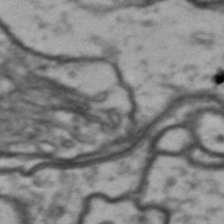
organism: Drosophila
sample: Brain